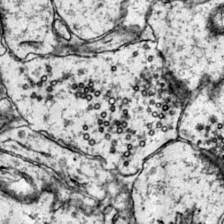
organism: Mouse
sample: Primary visual cortex